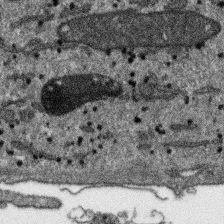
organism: Human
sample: Lung epithelial cells infected with SARS-CoV-2